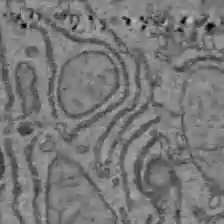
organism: C57BL Mouse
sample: Liver